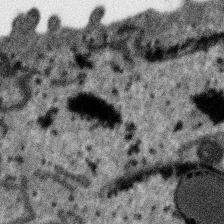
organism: Human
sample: Lung epithelial cells infected with SARS-CoV-2